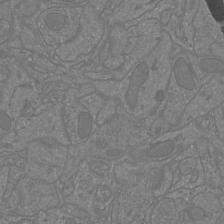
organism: Mouse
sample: Cortical neurons